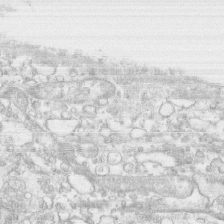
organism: Human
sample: CRL-1474